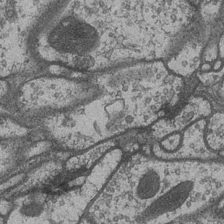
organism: Drosophila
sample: Optic medulla